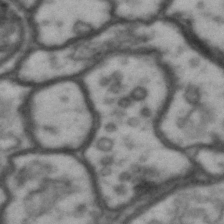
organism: Drosophila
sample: Brain